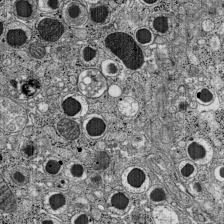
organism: C57BL Mouse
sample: Pancreatic islet